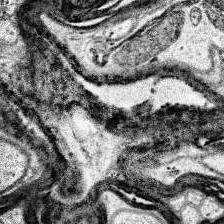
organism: Human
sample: Temporal Lobe